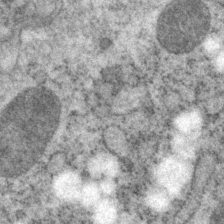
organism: P. pacificus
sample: Pharynx